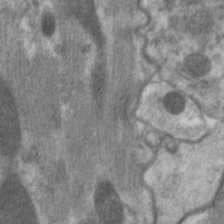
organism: C. elegans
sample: Pharynx